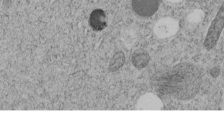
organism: C. elegans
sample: C. elegans embryo early stage